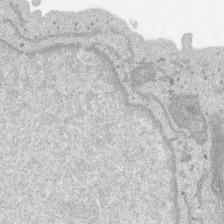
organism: Human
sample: Lung epithelial cells infected with SARS-CoV-2